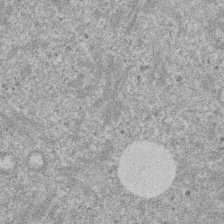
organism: Mouse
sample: Dividing mouse embryo 1 cell stage